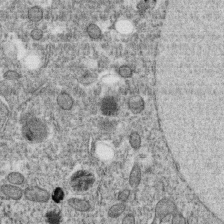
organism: C. elegans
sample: C. elegans oocyte; sperm cells